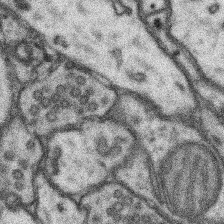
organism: Mouse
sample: Somatosensory cortex neuropil